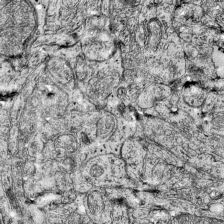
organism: Mouse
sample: Visual Cortex